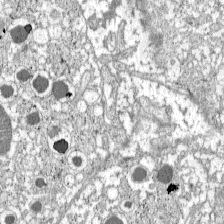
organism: C57BL Mouse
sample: Pancreatic islet